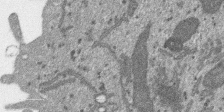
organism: Human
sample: Lung epithelial cells infected with SARS-CoV-2